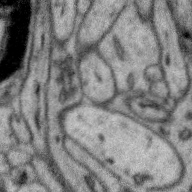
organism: Zebra finch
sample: Brain